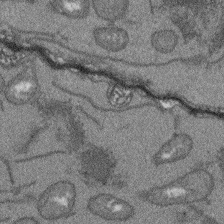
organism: Arabidopsis thaliana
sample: Root tip